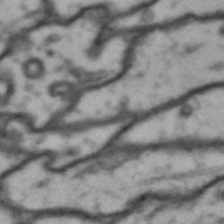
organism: Drosophila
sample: Brain